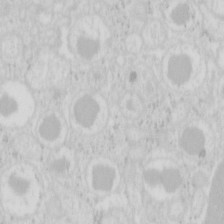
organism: Mouse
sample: Pancreas